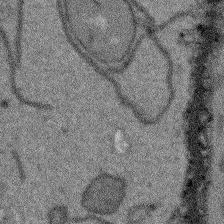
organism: Arabidopsis thaliana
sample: Root tip